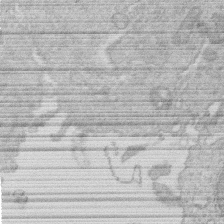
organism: Human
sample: Macrophage cells